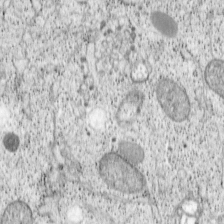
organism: African green monkey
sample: COS-7 cells